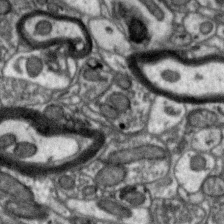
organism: Zebra finch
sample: Brain